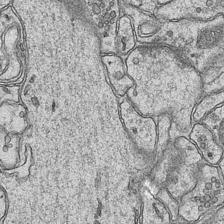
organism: Mouse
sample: CA1 Hippocampus